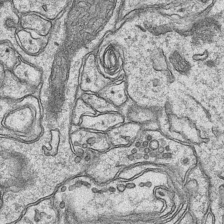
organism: Mouse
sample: CA1 Hippocampus